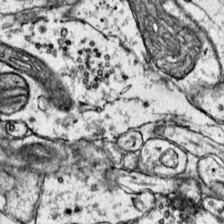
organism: Mouse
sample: Primary visual cortex